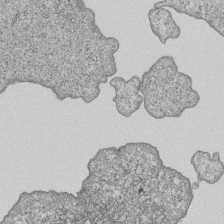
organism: Human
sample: MDA-MB-231 cells